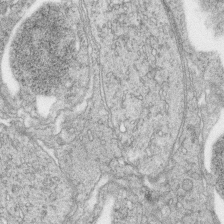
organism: Zebrafish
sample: synaptic ribbons in rod cells and cone cells